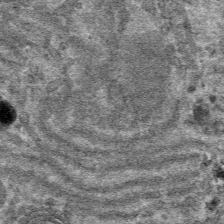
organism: Mouse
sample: Mouse hepatocytes